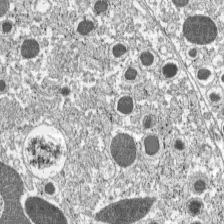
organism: C57BL Mouse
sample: Pancreatic islet